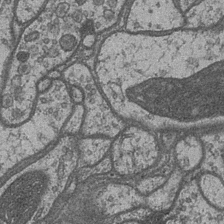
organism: Drosophila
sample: Optic medulla